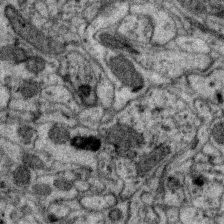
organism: Zebra finch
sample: Brain